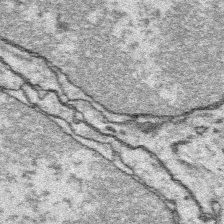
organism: Platynereis dumerilii